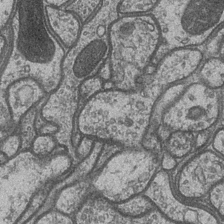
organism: Drosophila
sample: Optic medulla